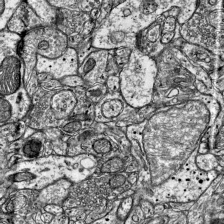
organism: Mouse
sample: Visual Cortex